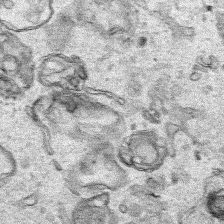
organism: Human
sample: Mitochondria in HCT116 cells